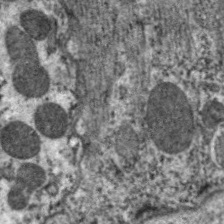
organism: C. elegans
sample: Pharynx